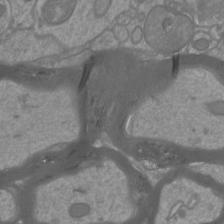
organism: Mouse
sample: Cortical neurons